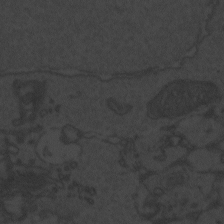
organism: Zebrafish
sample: Macrophage infected with Toxoplasma gondii